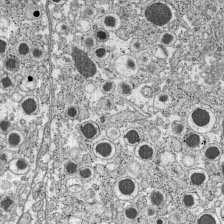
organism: C57BL Mouse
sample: Pancreatic islet